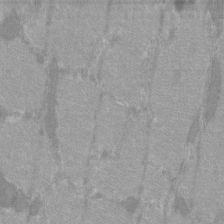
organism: C57BL Mouse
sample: Tibialis anterior muscle cell